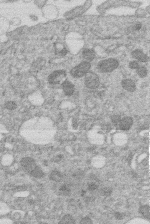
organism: Human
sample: Macrophage cells